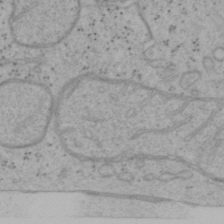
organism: Human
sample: HeLa cells